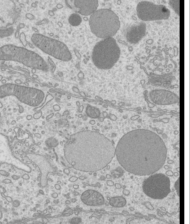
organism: Mouse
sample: Cilia; mouse epididymis